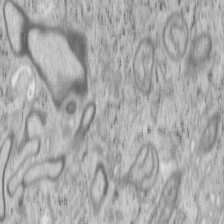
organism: Human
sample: HeLa cells